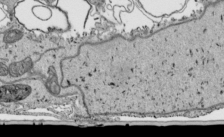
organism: Human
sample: Mitochondria in HCT116 cells